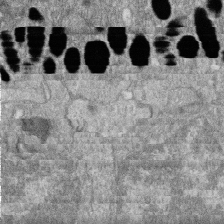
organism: Zebrafish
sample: Cilia; retinal pigment epithelium